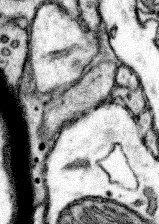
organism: Mouse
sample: Somatosensory cortex neuropil